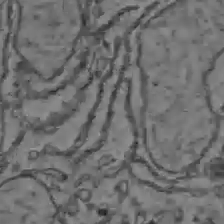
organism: C57BL Mouse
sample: Liver